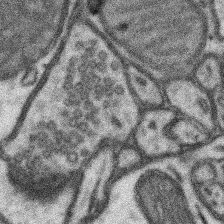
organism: Mouse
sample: Somatosensory cortex neuropil